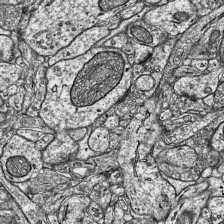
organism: Mouse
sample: Visual Cortex